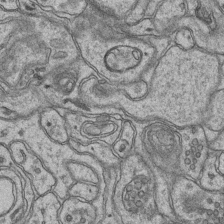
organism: Mouse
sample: CA1 Hippocampus